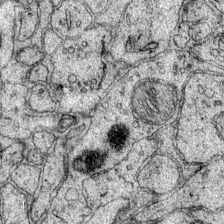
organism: Mouse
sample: Primary visual cortex